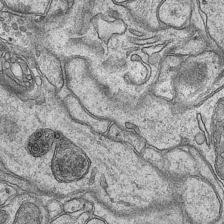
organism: Mouse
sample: CA1 Hippocampus